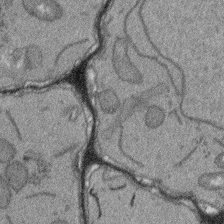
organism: Arabidopsis thaliana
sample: Root tip